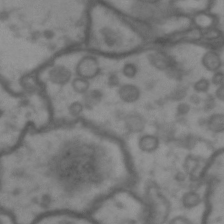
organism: Drosophila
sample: Brain